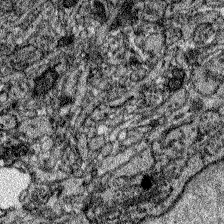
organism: Zebrafish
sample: Larval olfactory bulb